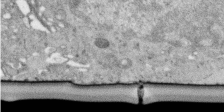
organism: Human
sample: Centriole in RPE cells